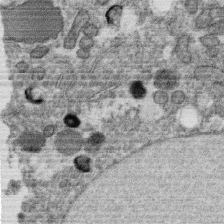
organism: C. elegans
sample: C. elegans oocyte; sperm cells